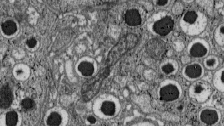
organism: C57BL Mouse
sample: Pancreatic islet